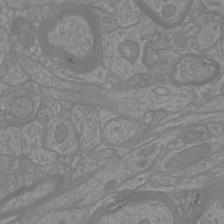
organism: Mouse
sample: Cortical neurons